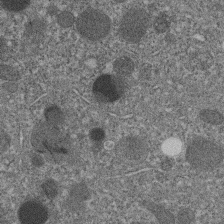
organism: C. elegans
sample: C. elegans embryo early stage